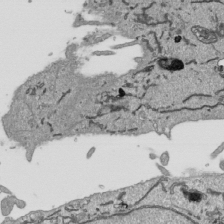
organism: Human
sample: Mitochondria in HCT116 cells